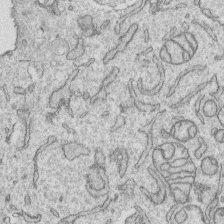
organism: Human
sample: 1205lu cells